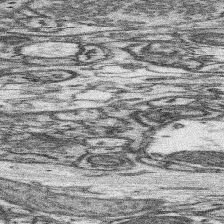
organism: Mouse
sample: Somatosensory cortex neuropil